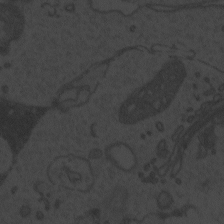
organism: Zebrafish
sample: Macrophage infected with Toxoplasma gondii